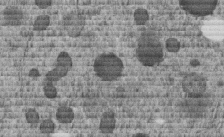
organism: C. elegans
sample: C. elegans embryo early stage